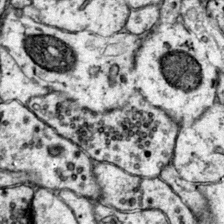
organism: Mouse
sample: Primary visual cortex